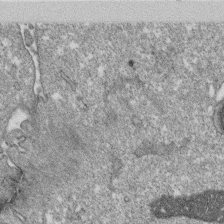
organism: African green monkey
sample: Vero E6 cells infected with SARS-CoV-2